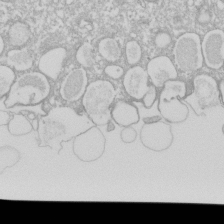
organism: Xenopus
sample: Cilia; centrioles in frog embryo cells